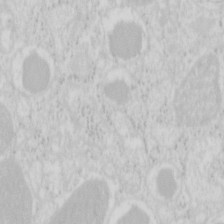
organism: Mouse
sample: Pancreas